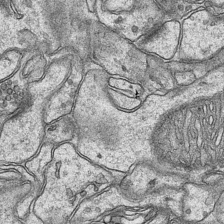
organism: Mouse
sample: CA1 Hippocampus